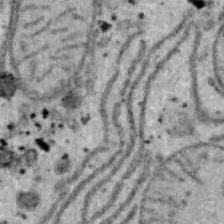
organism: Mouse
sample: Liver from an obese (ob/ob) mouse